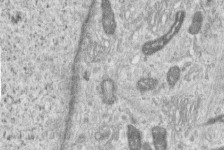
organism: Human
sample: Centriole in RPE cells